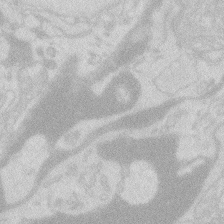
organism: Zebrafish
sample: Macrophage